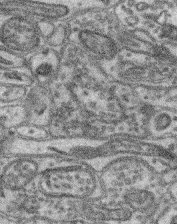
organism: Mouse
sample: Retina